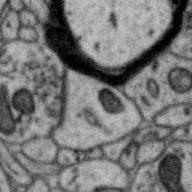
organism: Zebra finch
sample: Brain